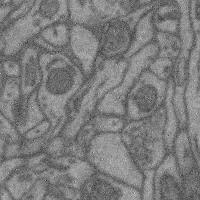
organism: Mouse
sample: Cerebral cortex